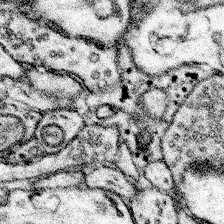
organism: Mouse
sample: Somatosensory cortex neuropil